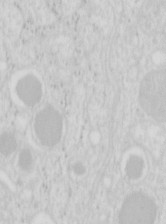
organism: Mouse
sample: Pancreas